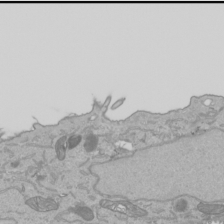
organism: Human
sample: Mitochondria in HCT116 cells